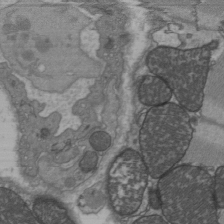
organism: C57BL Mouse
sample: Heart